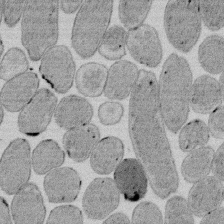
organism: E. coli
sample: Bacterial nucleoid